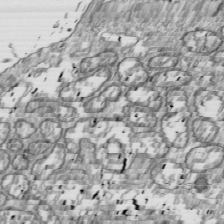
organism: Drosophila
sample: Cell division; meiosis; drosophila spermatocytes